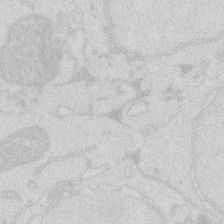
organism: Zebrafish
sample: Macrophage